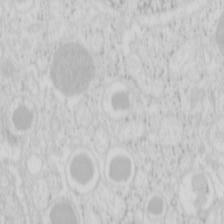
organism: Mouse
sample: Pancreas